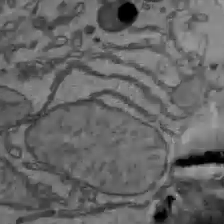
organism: C57BL Mouse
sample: Liver